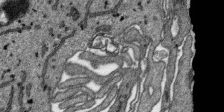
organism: Human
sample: Lung epithelial cells, uninfected (mock) control